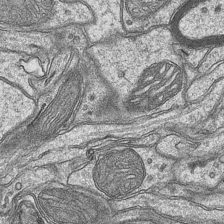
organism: Mouse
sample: CA1 Hippocampus